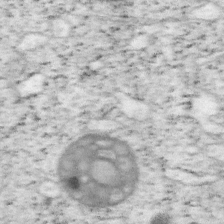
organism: Mouse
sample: OT-I killer T cells with ID8 ovarian cancer cells